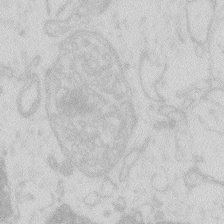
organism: Zebrafish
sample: Macrophage